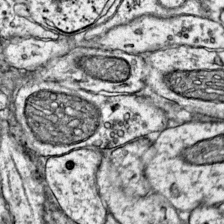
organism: Mouse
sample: Primary visual cortex